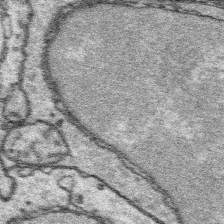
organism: Platynereis dumerilii